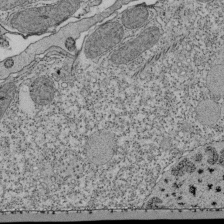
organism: Tetrahymena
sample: Cilia in tetrahymena